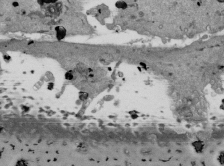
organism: Mouse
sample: ED-1 cell nuclei; centrioles